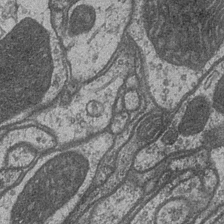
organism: Drosophila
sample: Optic medulla